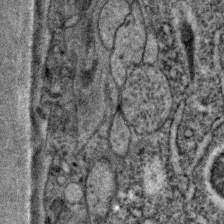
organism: C. elegans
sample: C. elegans embryo